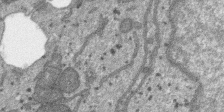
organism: Human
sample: Lung epithelial cells infected with SARS-CoV-2